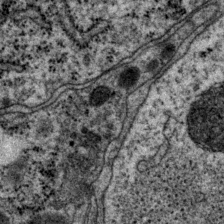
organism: P. pacificus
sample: Pharynx